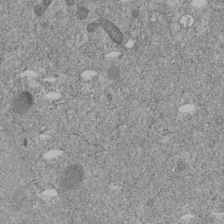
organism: C. elegans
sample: C. elegans embryo early stage